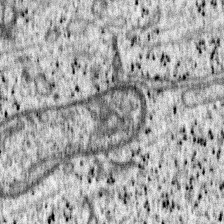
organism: Human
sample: HeLa cells